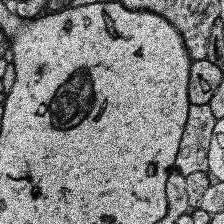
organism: Human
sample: Temporal Lobe